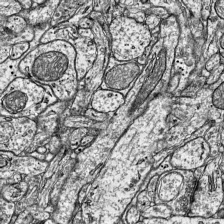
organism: Mouse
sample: Visual Cortex